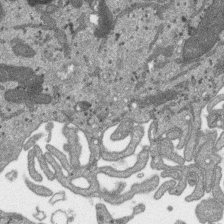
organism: Human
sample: Lung epithelial cells infected with SARS-CoV-2